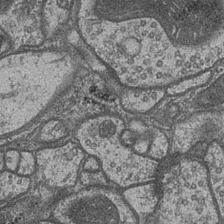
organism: Drosophila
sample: Optic medulla